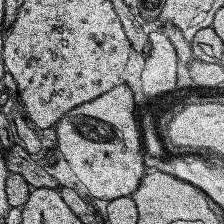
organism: Human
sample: Temporal Lobe